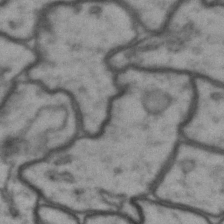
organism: Drosophila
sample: Brain